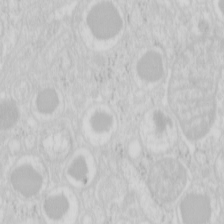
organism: Mouse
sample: Pancreas